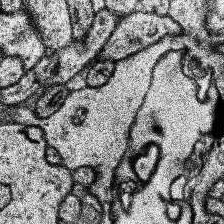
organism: Human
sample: Temporal Lobe